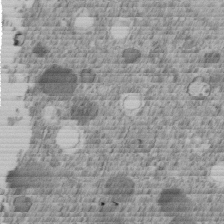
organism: C. elegans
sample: C. elegans embryo early stage